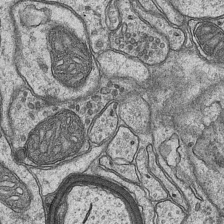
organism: Mouse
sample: CA1 Hippocampus